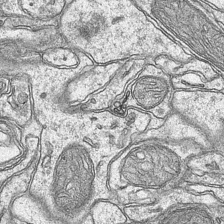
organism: Mouse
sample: CA1 Hippocampus